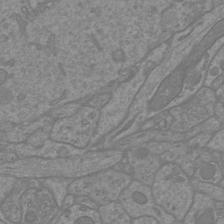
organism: Mouse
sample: Cortical neurons